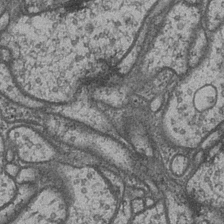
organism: Drosophila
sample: Optic medulla